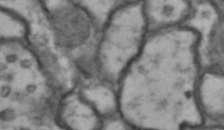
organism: Drosophila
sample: Brain